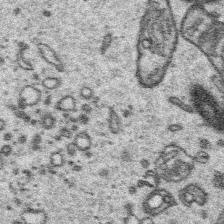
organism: Platynereis dumerilii